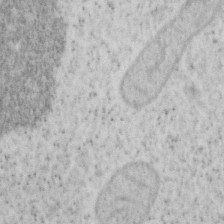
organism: Human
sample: HeLa cells